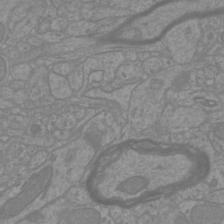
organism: Mouse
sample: Cortical neurons